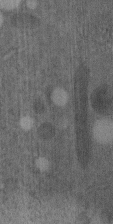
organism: C. elegans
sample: C. elegans embryo early stage